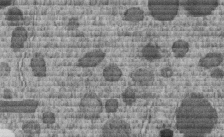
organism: C. elegans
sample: C. elegans embryo early stage